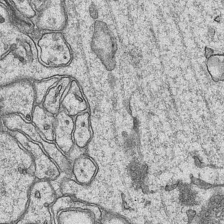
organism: Mouse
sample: CA1 Hippocampus